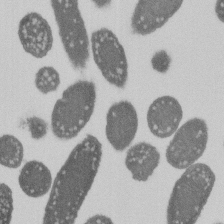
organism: E. coli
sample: Bacterial nucleoid